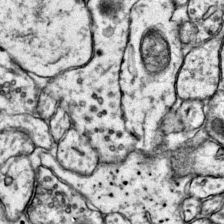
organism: Mouse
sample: Primary visual cortex